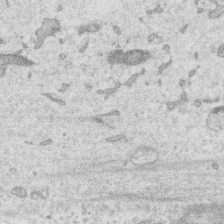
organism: Human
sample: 1205lu cells